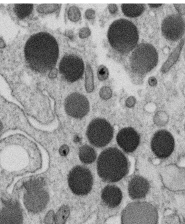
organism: C. elegans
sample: C. elegans oocyte; sperm cells